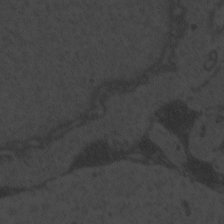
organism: Zebrafish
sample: Macrophage infected with Toxoplasma gondii